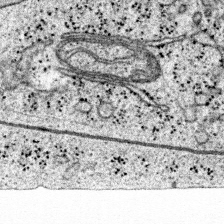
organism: Human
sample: HeLa cells